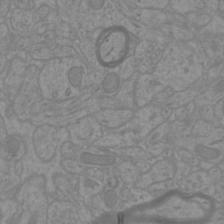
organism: Mouse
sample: Cortical neurons